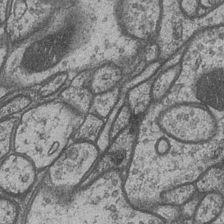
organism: Drosophila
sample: Optic medulla